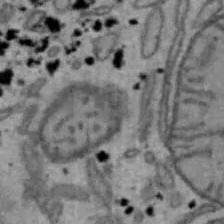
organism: Mouse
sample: Liver